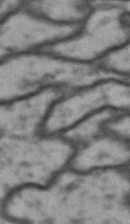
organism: Drosophila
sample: Brain